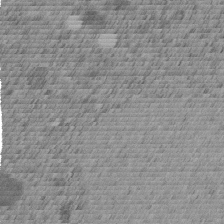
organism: C. elegans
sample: C. elegans embryo early stage